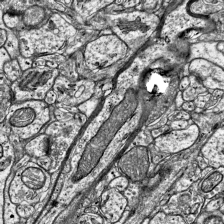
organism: Mouse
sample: Visual Cortex